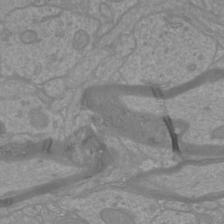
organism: Mouse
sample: Cortical neurons